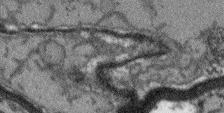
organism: Arabidopsis thaliana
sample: Root tip